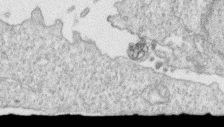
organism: Human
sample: HeLa cell HIV synapse